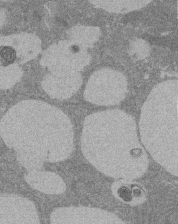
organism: Rat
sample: Salivary granule